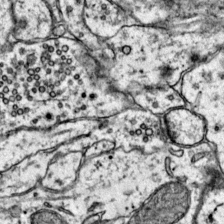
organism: Mouse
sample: Primary visual cortex